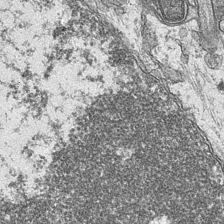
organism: Mouse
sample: CA1 Hippocampus